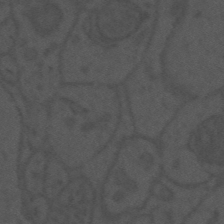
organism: Mouse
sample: Suprachiasmatic nucleus